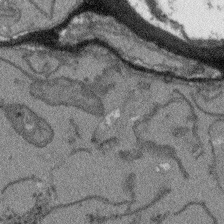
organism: Arabidopsis thaliana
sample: Root tip